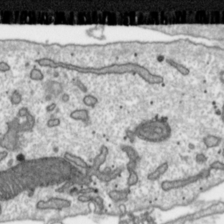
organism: Toxoplasma gondii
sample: Parasites in a vacuole inside a host cell